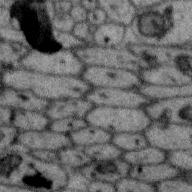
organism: Zebra finch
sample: Brain